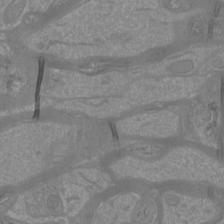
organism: Mouse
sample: Cortical neurons